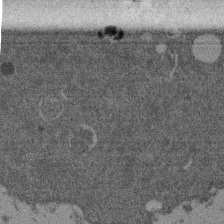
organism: Mouse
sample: Dividing mouse embryo 1 cell stage